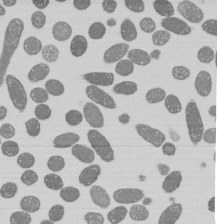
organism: E. coli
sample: Bacterial nucleoid